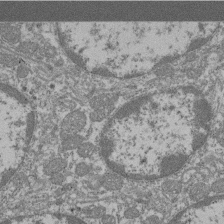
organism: Mouse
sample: Glomerulus